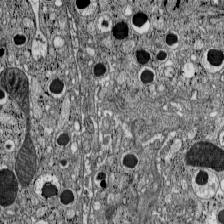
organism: C57BL Mouse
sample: Pancreatic islet